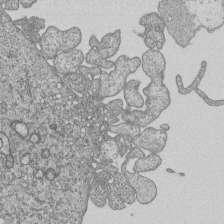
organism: Human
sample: MDA-MB-231 cells